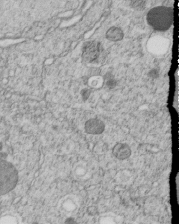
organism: C. elegans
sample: C. elegans embryo early stage